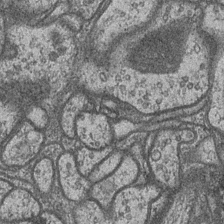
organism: Drosophila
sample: Optic medulla